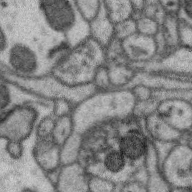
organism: Zebra finch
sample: Brain